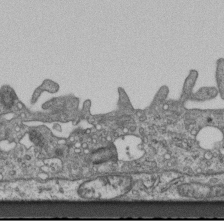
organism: Mouse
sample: Centriole in ependymal cells